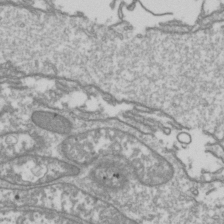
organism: Drosophila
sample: Cell division; meiosis; drosophila spermatocytes